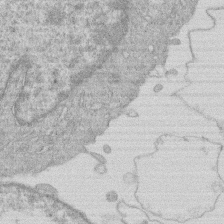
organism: Human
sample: Macrophage cells